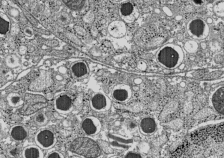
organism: C57BL Mouse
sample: Pancreatic islet